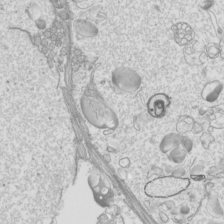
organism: Mouse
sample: Cilia; mouse epididymis